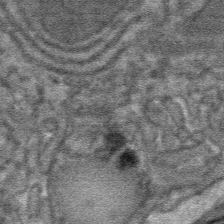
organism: Mouse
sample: Mouse hepatocytes